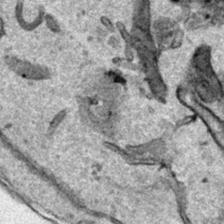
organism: Human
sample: Mitochondria in HCT116 cells